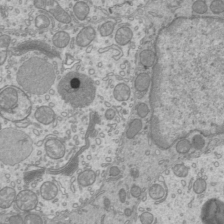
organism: Mouse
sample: Cilia; mouse epididymis